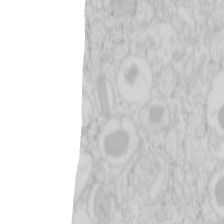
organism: Mouse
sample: Pancreas